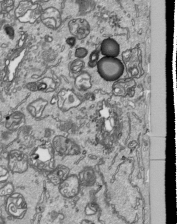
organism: Human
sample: Mitochondria in HCT116 cells